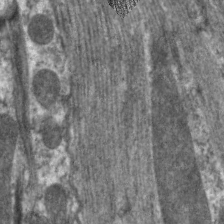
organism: C. elegans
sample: Pharynx